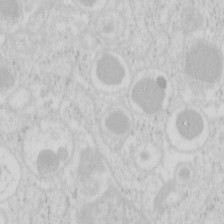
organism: Mouse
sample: Pancreas